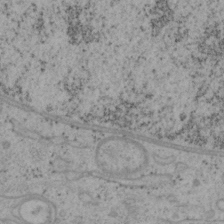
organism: Human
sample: HeLa cells